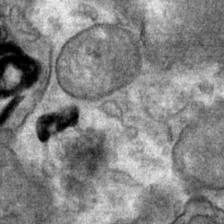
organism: Mouse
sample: Mouse Salivary gland